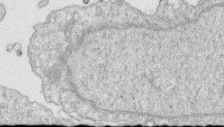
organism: Human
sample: HeLa cell HIV synapse